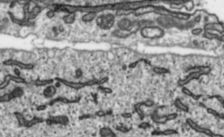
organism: Toxoplasma gondii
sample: Parasites in a vacuole inside a host cell